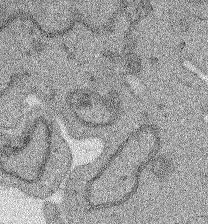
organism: Human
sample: HeLa cells